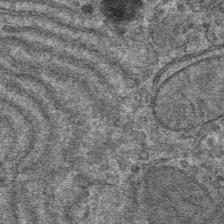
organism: Mouse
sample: Mouse hepatocytes